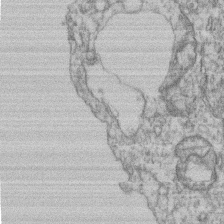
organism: Mouse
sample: T cell stromal cell synapse